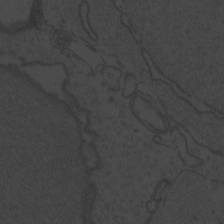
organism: Zebrafish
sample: Macrophage infected with Toxoplasma gondii